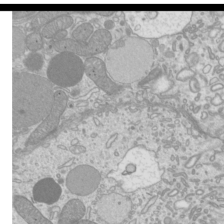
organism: Mouse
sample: Cilia; mouse epididymis